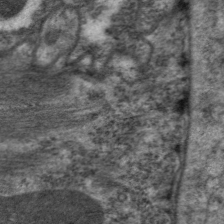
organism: C. elegans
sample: Pharynx